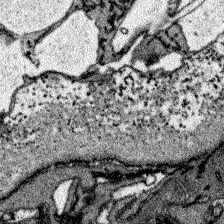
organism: Zebrafish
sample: Larval olfactory bulb